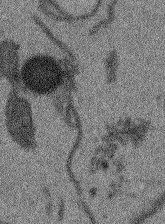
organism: Arabidopsis thaliana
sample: Root tip